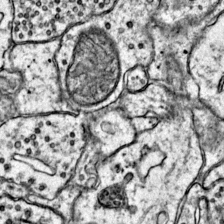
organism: Mouse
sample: Primary visual cortex